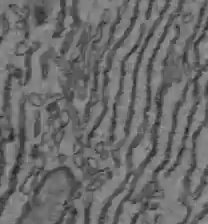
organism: C57BL Mouse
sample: Liver